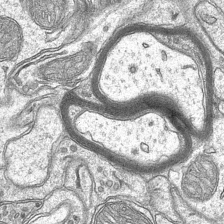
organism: Mouse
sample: CA1 Hippocampus